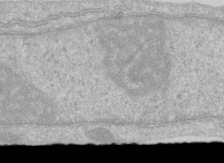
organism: Human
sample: Centriole in RPE cells